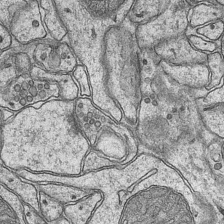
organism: Mouse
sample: CA1 Hippocampus